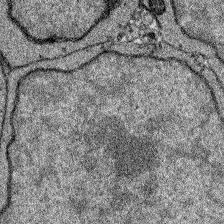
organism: Zebrafish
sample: Larval olfactory bulb